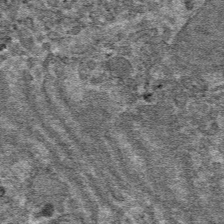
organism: Mouse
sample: Mouse hepatocytes